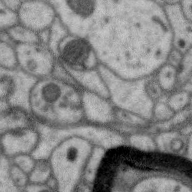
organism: Zebra finch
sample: Brain